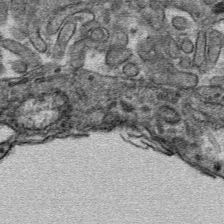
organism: Mouse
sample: Mouse hepatocytes